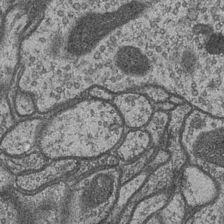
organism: Drosophila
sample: Optic medulla